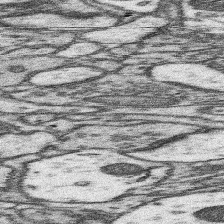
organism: Mouse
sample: Somatosensory cortex neuropil